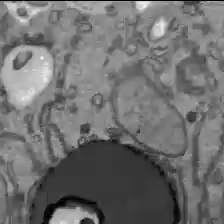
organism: C57BL Mouse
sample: Liver